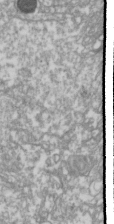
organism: Drosophila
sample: Cell division; meiosis; drosophila spermatocytes